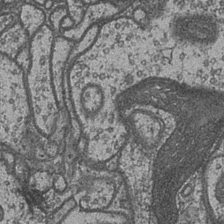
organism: Drosophila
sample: Optic medulla